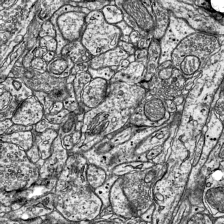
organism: Mouse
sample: Visual Cortex